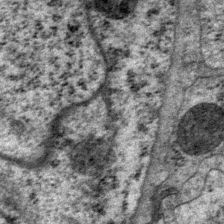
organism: P. pacificus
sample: Pharynx